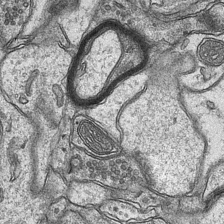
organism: Mouse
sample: CA1 Hippocampus